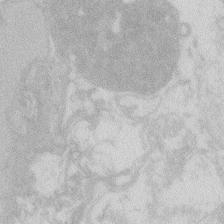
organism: Zebrafish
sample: Macrophage